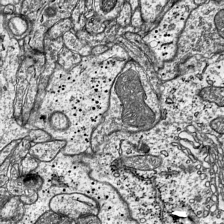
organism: Mouse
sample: Visual Cortex